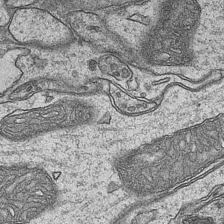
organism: Mouse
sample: CA1 Hippocampus